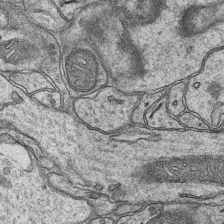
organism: Mouse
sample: CA1 Hippocampus